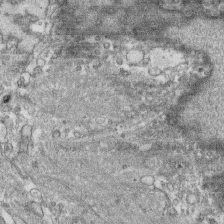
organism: Human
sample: CRL-1474